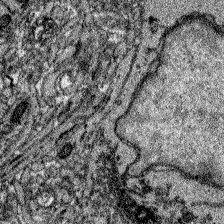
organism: Zebrafish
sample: Larval olfactory bulb